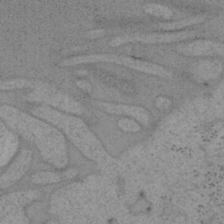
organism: Mouse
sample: OT-I killer T cells with ID8 ovarian cancer cells